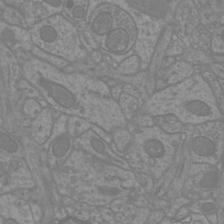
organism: Mouse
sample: Cortical neurons